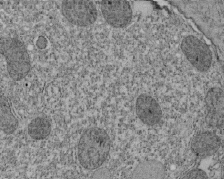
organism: Tetrahymena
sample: Cilia in tetrahymena